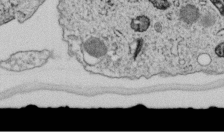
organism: C. elegans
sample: C. elegans embryo early stage